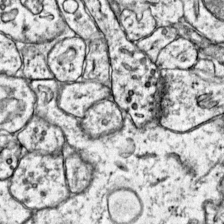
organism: Mouse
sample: Primary visual cortex